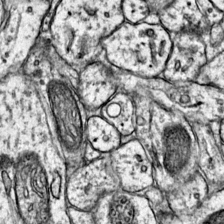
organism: Mouse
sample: Primary visual cortex